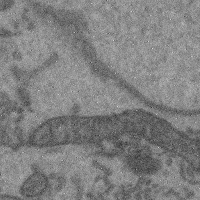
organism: Mouse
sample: Cerebral cortex